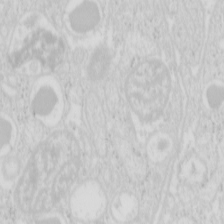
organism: Mouse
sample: Pancreas